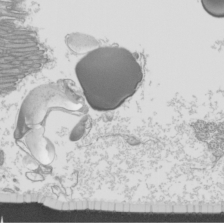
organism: Mouse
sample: Cilia; mouse epididymis